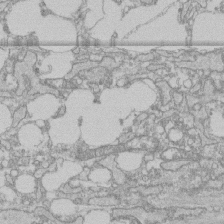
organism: Human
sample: CRL-1474